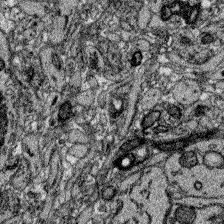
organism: Zebrafish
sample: Larval olfactory bulb